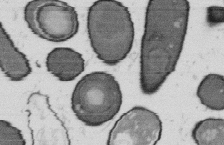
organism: B. subtilis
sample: Bacterial spore